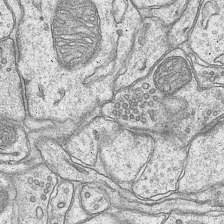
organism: Mouse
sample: CA1 Hippocampus